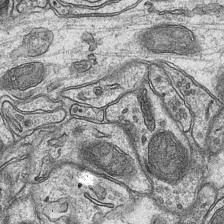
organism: Mouse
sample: CA1 Hippocampus